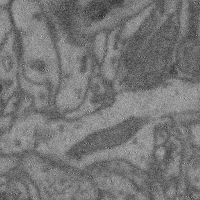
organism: Mouse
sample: Cerebral cortex